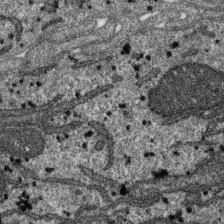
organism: Human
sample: Lung epithelial cells infected with SARS-CoV-2